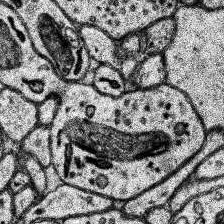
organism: Human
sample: Temporal Lobe